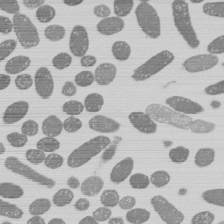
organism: E. coli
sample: Bacterial nucleoid